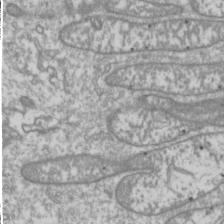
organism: Drosophila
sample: Cell division; meiosis; drosophila spermatocytes